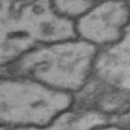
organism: Drosophila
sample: Brain